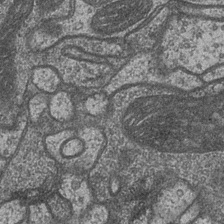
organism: Drosophila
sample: Optic medulla